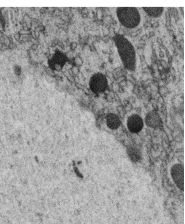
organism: C. elegans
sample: C. elegans oocyte; sperm cells